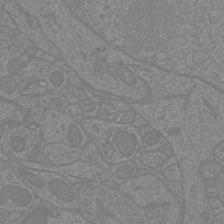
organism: Mouse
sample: Cortical neurons